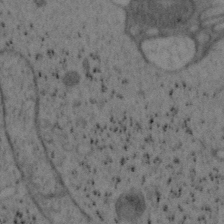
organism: Human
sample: HeLa cells